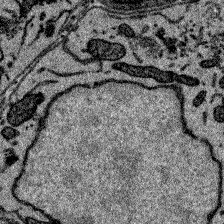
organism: Zebrafish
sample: Larval olfactory bulb